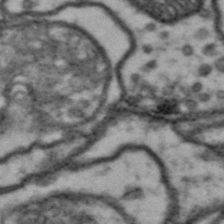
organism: Drosophila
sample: Brain